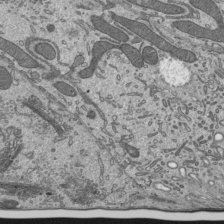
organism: Mouse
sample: Mouse epididymis efferent ductule cilia